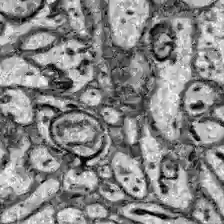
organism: Zebrafish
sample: Brain